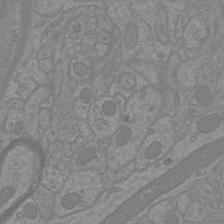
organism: Mouse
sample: Cortical neurons